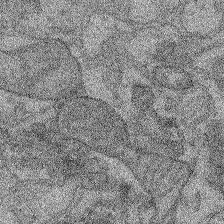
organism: Human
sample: HeLa cells